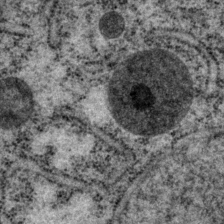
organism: P. pacificus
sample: Pharynx